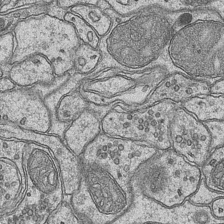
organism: Mouse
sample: CA1 Hippocampus